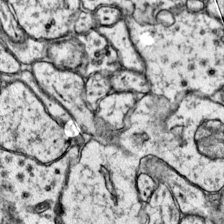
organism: Mouse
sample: Primary visual cortex